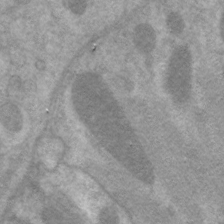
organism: C. elegans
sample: Pharynx